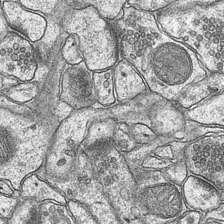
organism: Mouse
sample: CA1 Hippocampus